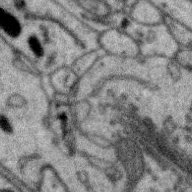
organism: Zebra finch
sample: Brain